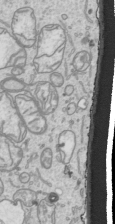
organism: Human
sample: Mitochondria in HCT116 cells